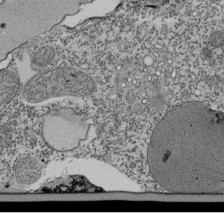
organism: Tetrahymena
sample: Cilia in tetrahymena